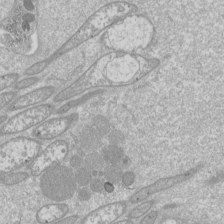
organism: Drosophila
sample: Cell division; meiosis; drosophila spermatocytes